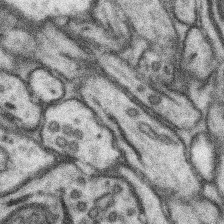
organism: Mouse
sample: Somatosensory cortex neuropil